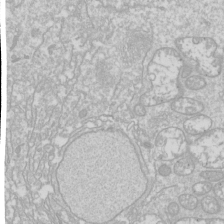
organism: Drosophila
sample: Cell division; meiosis; drosophila spermatocytes